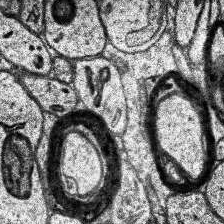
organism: Human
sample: Temporal Lobe